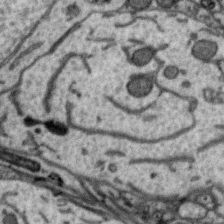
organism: Zebra finch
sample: Brain